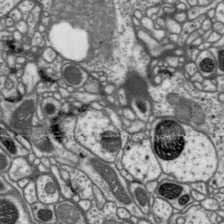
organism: Drosophila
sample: Protocerebral bridge